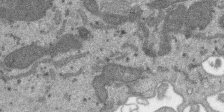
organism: Human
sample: Lung epithelial cells infected with SARS-CoV-2